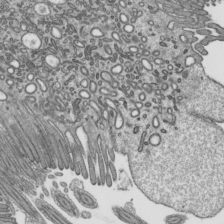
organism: Mouse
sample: Mouse epididymis efferent ductule cilia